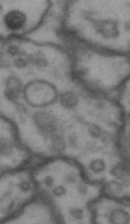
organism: Drosophila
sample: Brain